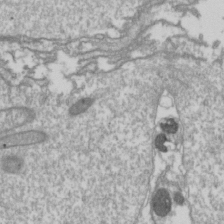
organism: Drosophila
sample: Cell division; meiosis; drosophila spermatocytes